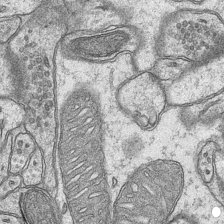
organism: Mouse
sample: CA1 Hippocampus